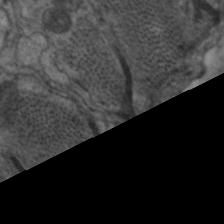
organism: C. elegans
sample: Pharynx